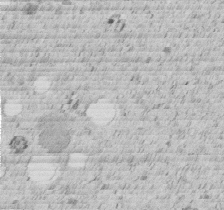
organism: C. elegans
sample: C. elegans embryo early stage